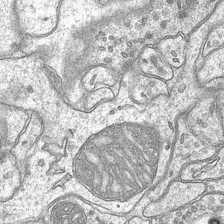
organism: Mouse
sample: CA1 Hippocampus